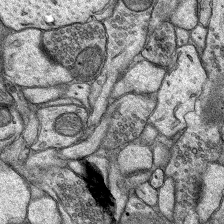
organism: Rat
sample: Hippocampus